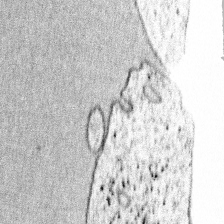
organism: Human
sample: HeLa cells